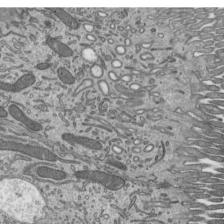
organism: Mouse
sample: Mouse epididymis efferent ductule cilia